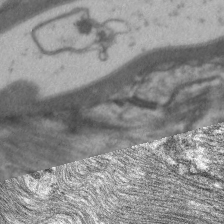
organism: C. elegans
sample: Pharynx